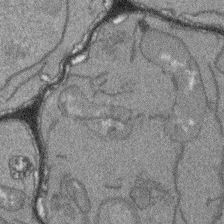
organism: Arabidopsis thaliana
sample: Root tip